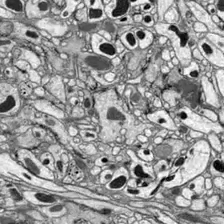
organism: Drosophila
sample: Optic lobe